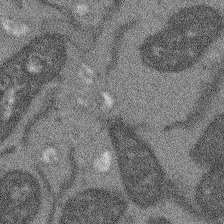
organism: Arabidopsis thaliana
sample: Root tip